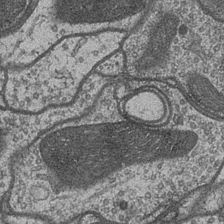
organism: Drosophila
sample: Optic medulla